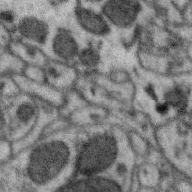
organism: Zebra finch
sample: Brain